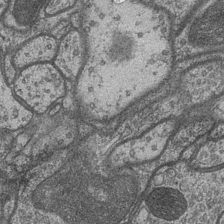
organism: Drosophila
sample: Optic medulla